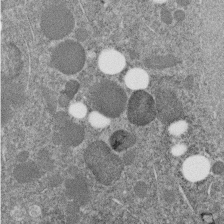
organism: C. elegans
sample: C. elegans embryo early stage